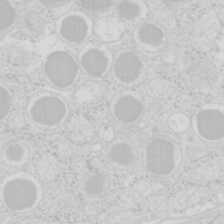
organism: Mouse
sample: Pancreas